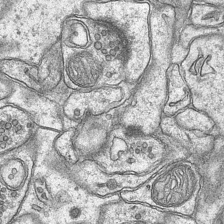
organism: Mouse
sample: CA1 Hippocampus